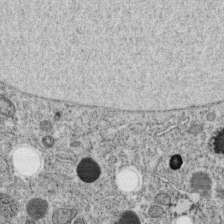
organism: C. elegans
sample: C. elegans oocyte; sperm cells